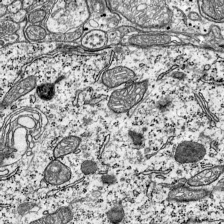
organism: Mouse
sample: Visual Cortex